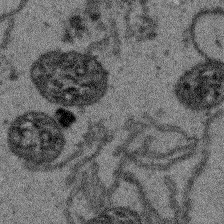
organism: Arabidopsis thaliana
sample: Root tip